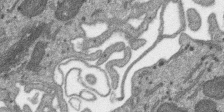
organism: Human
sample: Lung epithelial cells infected with SARS-CoV-2